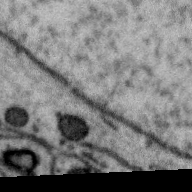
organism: Zebra finch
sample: Brain